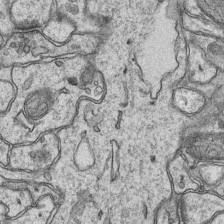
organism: Mouse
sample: CA1 Hippocampus